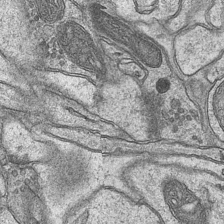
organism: Mouse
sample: CA1 Hippocampus